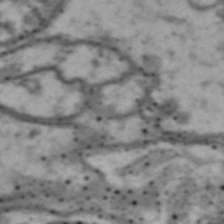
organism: Drosophila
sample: Brain